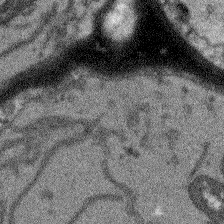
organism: Arabidopsis thaliana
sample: Root tip